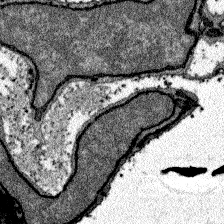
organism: Zebrafish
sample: Larval olfactory bulb